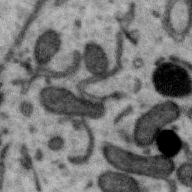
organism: Zebra finch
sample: Brain